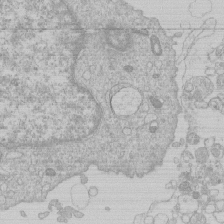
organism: Human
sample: Macrophage cells